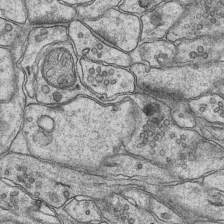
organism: Mouse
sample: CA1 Hippocampus